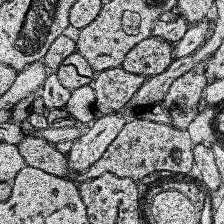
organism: Human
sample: Temporal Lobe